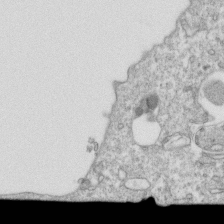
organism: Mouse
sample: Activated OT-1 CD8+ T cells